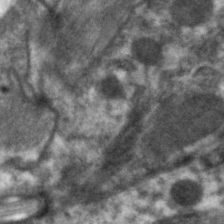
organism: C. elegans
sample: Pharynx